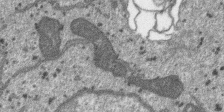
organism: Human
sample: Lung epithelial cells infected with SARS-CoV-2